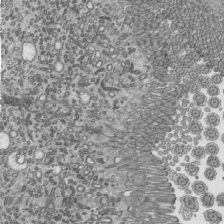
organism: Mouse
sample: Mouse epididymis efferent ductule cilia